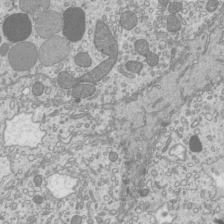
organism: Mouse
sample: Cilia; mouse epididymis